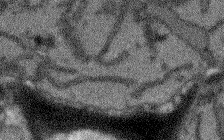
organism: Arabidopsis thaliana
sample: Root tip